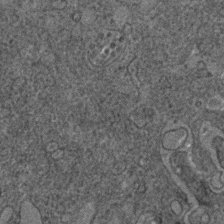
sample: Trachea